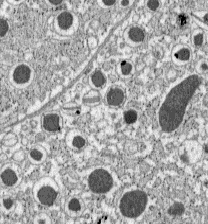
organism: C57BL Mouse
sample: Pancreatic islet